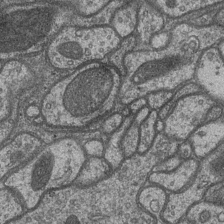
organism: Drosophila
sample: Optic medulla